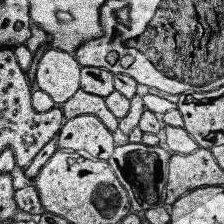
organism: Human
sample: Temporal Lobe